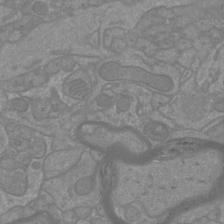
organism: Mouse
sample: Cortical neurons